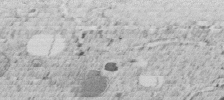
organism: C. elegans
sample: C. elegans embryo early stage